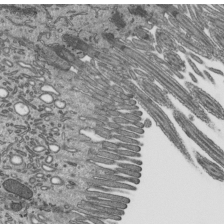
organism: Mouse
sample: Mouse epididymis efferent ductule cilia